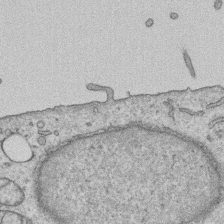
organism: Human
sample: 1205lu cells